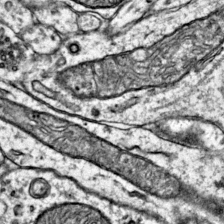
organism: Mouse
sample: Primary visual cortex